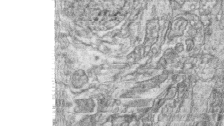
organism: Zebrafish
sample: synaptic ribbons in rod cells and cone cells